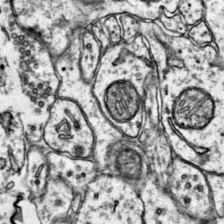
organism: Mouse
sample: Primary visual cortex